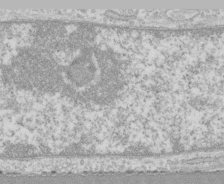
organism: Human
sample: CRL-1474